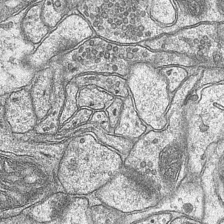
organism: Mouse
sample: CA1 Hippocampus